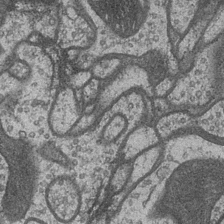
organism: Drosophila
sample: Optic medulla